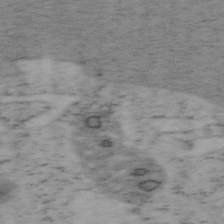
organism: Mouse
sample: OT-I killer T cells with ID8 ovarian cancer cells